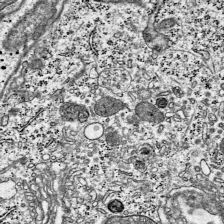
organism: Mouse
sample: Visual Cortex